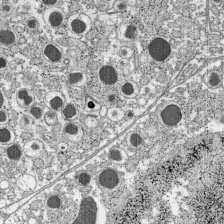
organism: C57BL Mouse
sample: Pancreatic islet